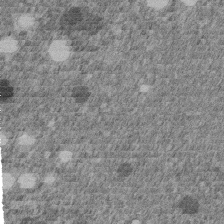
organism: C. elegans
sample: C. elegans embryo early stage